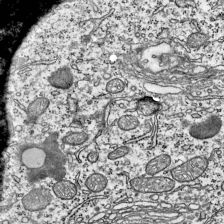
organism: Mouse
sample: Visual Cortex